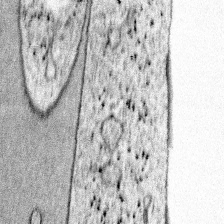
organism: Human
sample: HeLa cells